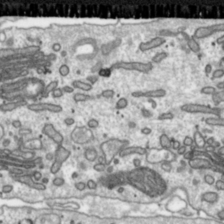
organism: Toxoplasma gondii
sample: Parasites in a vacuole inside a host cell